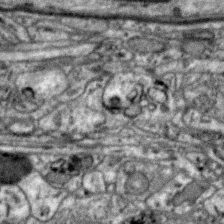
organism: Zebra finch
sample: Brain